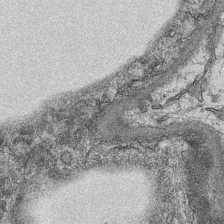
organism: Mouse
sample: CA1 Hippocampus